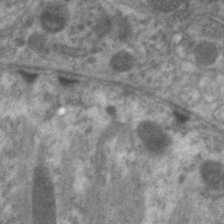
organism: C. elegans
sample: Pharynx